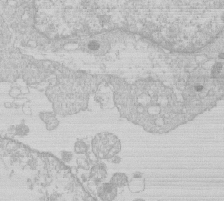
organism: Human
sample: Macrophage cells